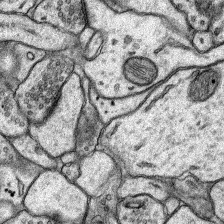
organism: Rat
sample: Hippocampus